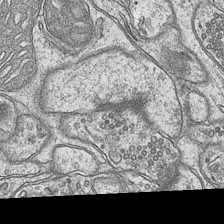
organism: Mouse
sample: CA1 Hippocampus